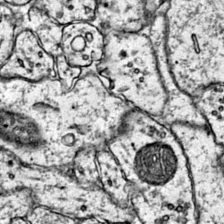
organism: Mouse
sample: Primary visual cortex